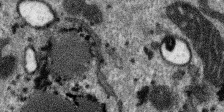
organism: Human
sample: Lung epithelial cells infected with SARS-CoV-2